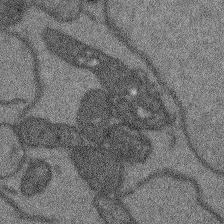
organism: Arabidopsis thaliana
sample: Root tip